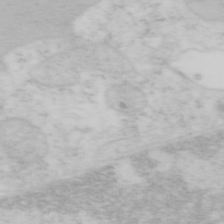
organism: Mouse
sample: OT-I killer T cells with ID8 ovarian cancer cells